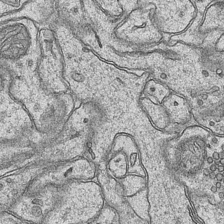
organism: Mouse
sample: CA1 Hippocampus